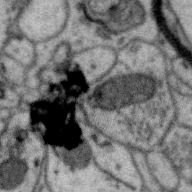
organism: Zebra finch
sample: Brain